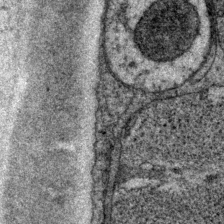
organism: P. pacificus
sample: Pharynx